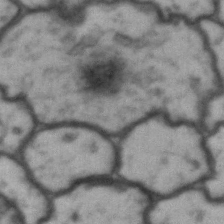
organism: Drosophila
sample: Brain